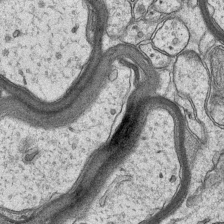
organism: Mouse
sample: CA1 Hippocampus